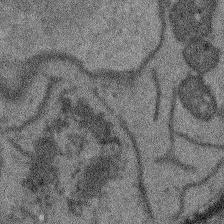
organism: Arabidopsis thaliana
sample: Root tip